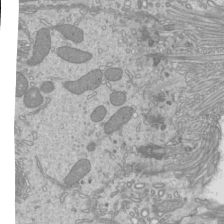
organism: Mouse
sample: Cilia; mouse epididymis